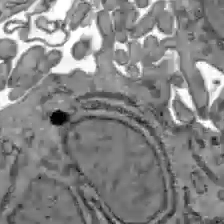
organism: C57BL Mouse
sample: Liver